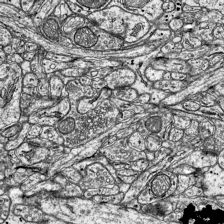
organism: Mouse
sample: Visual Cortex